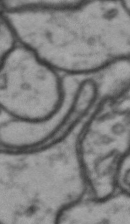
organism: Drosophila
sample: Brain